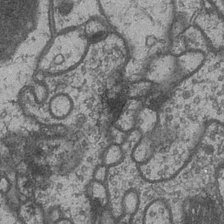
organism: Drosophila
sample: Optic medulla